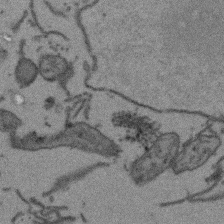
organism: Arabidopsis thaliana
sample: Root tip